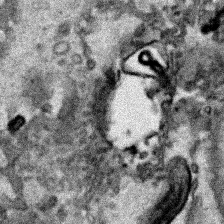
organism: Human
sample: Mitochondria in HCT116 cells